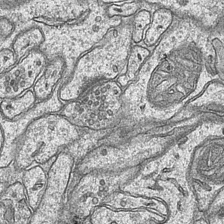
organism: Mouse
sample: CA1 Hippocampus